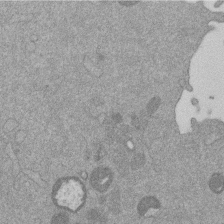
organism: Mouse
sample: Dividing mouse embryo 1 cell stage